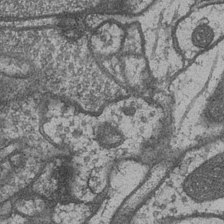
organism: Drosophila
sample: Optic medulla